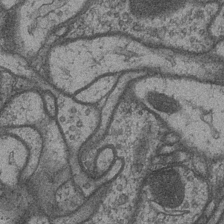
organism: Drosophila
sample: Optic medulla